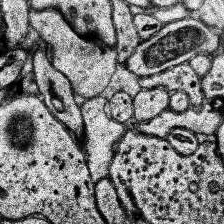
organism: Human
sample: Temporal Lobe